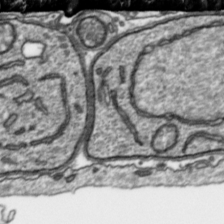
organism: Toxoplasma gondii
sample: Parasites in a vacuole inside a host cell